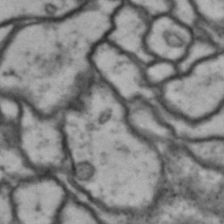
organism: Drosophila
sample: Brain